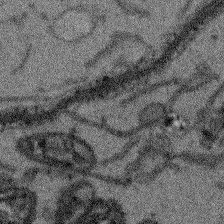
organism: Arabidopsis thaliana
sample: Root tip